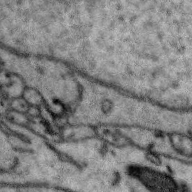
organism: Zebra finch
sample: Brain